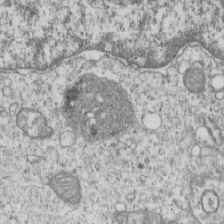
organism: Human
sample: MDA-MB-231 cells